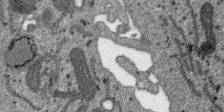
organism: Human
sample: Lung epithelial cells infected with SARS-CoV-2